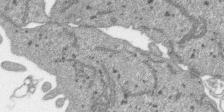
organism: Human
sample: Lung epithelial cells infected with SARS-CoV-2